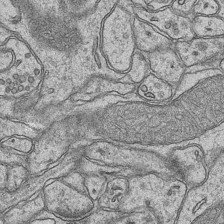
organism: Mouse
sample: CA1 Hippocampus